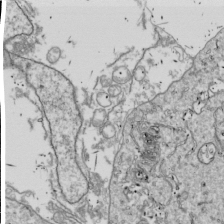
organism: Drosophila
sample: Cell division; meiosis; drosophila spermatocytes